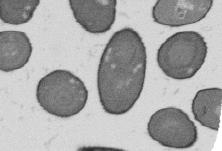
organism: B. subtilis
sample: Bacterial spore